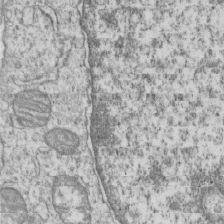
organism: Human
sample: MDA-MB-231 cells